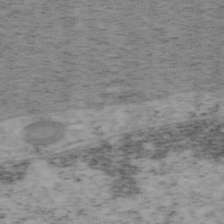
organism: Mouse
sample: OT-I killer T cells with ID8 ovarian cancer cells